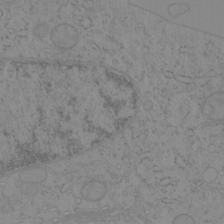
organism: Human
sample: HeLa cells